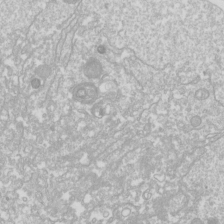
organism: Drosophila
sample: Cell division; meiosis; drosophila spermatocytes